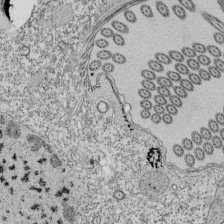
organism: Tetrahymena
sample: Cilia in tetrahymena